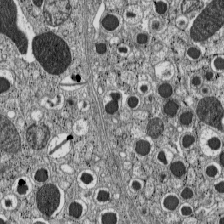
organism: C57BL Mouse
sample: Pancreatic islet